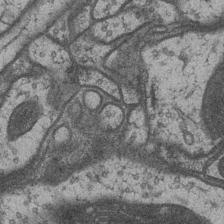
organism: Drosophila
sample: Optic medulla